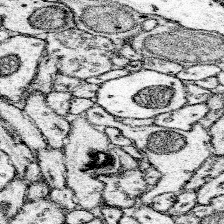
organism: Mouse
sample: Somatosensory cortex neuropil